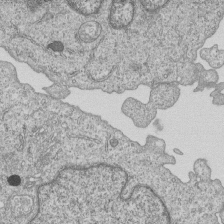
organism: Human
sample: MDA-MB-231 cells